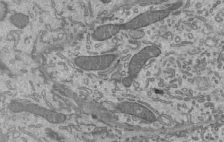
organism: Mouse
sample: Mouse epididymis efferent ductule cilia